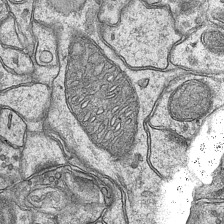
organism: Mouse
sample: CA1 Hippocampus